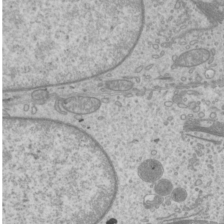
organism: Mouse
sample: Cilia; mouse epididymis